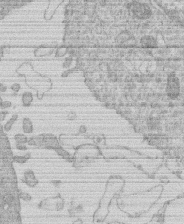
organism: Human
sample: Macrophage cells